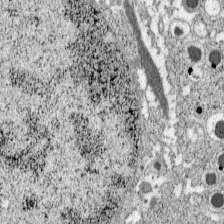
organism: C57BL Mouse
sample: Pancreatic islet